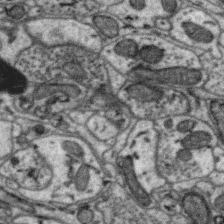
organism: Zebra finch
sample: Brain